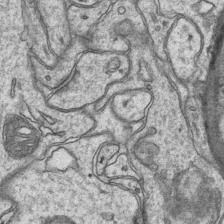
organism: Mouse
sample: CA1 Hippocampus